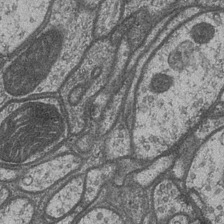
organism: Drosophila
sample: Optic medulla